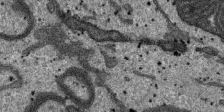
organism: Human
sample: Lung epithelial cells, uninfected (mock) control